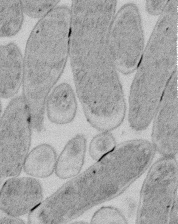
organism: E. coli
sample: Bacterial nucleoid